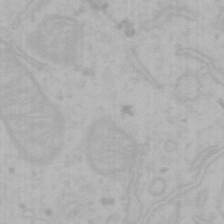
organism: Mouse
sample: Choroid plexus